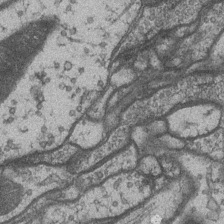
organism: Drosophila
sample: Optic medulla